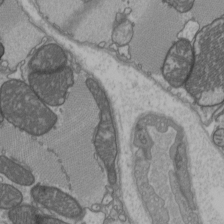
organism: C57BL Mouse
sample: Heart